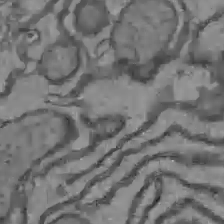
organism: C57BL Mouse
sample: Liver